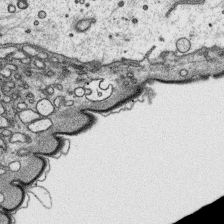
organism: Platynereis dumerilii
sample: Parapodia